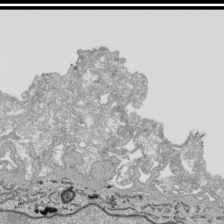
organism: Human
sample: Mitochondria in HCT116 cells